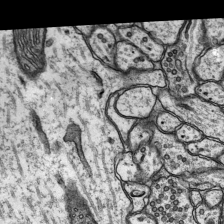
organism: Rat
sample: Hippocampus